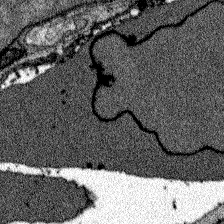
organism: Zebrafish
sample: Larval olfactory bulb